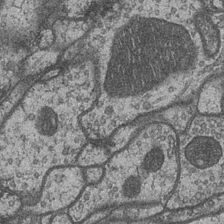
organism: Drosophila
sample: Optic medulla